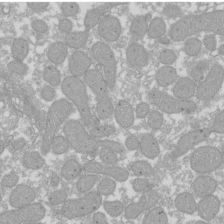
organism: Xenopus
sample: Cilia; centrioles in frog embryo cells